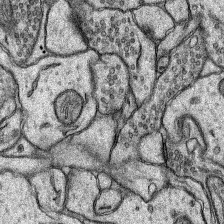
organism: Rat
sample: Hippocampus